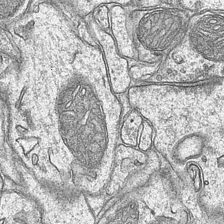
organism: Mouse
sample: CA1 Hippocampus